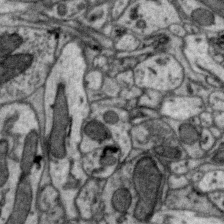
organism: Zebra finch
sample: Brain